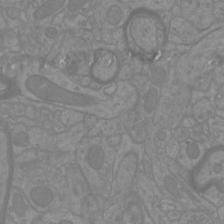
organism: Mouse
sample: Cortical neurons